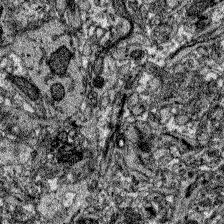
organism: Zebrafish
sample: Larval olfactory bulb